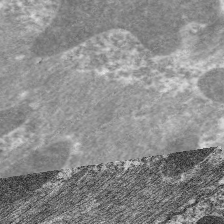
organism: C. elegans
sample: Pharynx